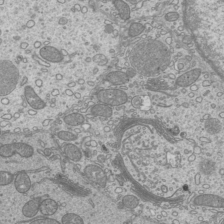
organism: Mouse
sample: Cilia; mouse epididymis